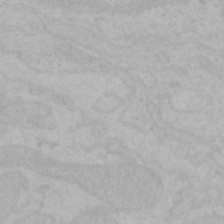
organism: Mouse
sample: Choroid plexus